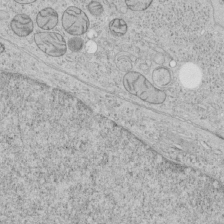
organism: Human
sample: Mitochondria in HCT116 cells